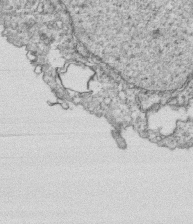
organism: Human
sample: HeLa cell HIV synapse